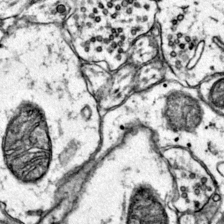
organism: Mouse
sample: Primary visual cortex